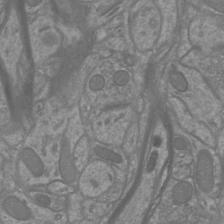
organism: Mouse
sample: Cortical neurons